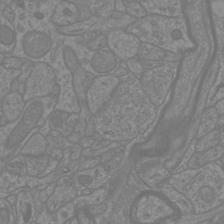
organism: Mouse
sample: Cortical neurons